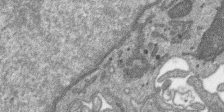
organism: Human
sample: Lung epithelial cells infected with SARS-CoV-2